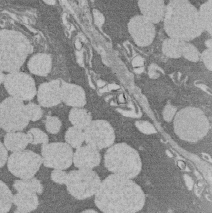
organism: Rat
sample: Salivary granule